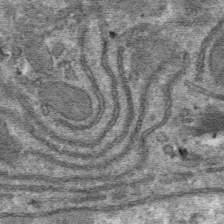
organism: Mouse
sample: Mouse hepatocytes